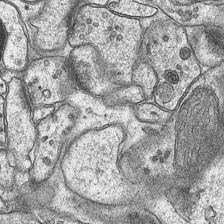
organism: Mouse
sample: CA1 Hippocampus